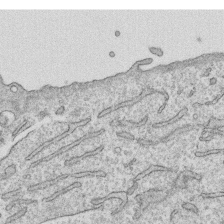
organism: Human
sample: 1205lu cells